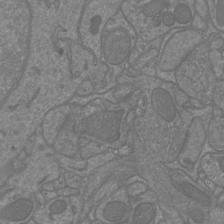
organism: Mouse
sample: Cortical neurons